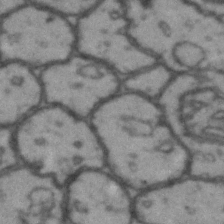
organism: Drosophila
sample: Brain